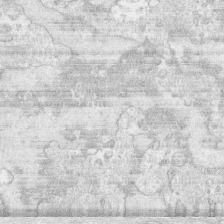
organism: Human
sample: CRL-1474